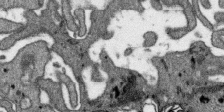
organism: Human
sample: Lung epithelial cells, uninfected (mock) control